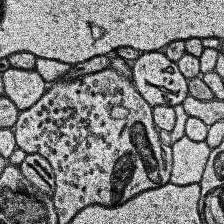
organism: Human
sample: Temporal Lobe